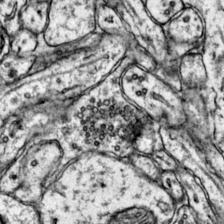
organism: Mouse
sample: Primary visual cortex